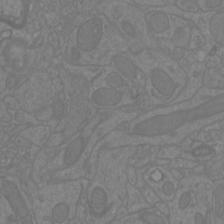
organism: Mouse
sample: Cortical neurons